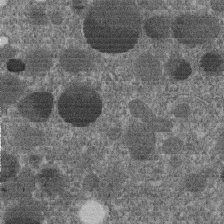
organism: C. elegans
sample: C. elegans embryo early stage